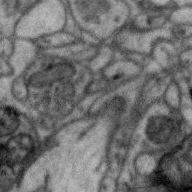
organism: Zebra finch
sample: Brain